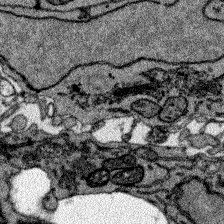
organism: Zebrafish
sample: Larval olfactory bulb